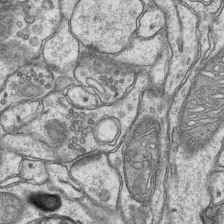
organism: Mouse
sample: CA1 Hippocampus